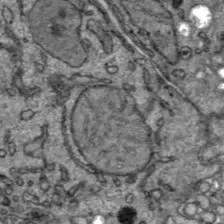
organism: C57BL Mouse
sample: Liver